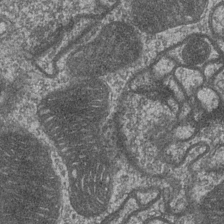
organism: Drosophila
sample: Optic medulla